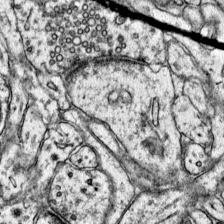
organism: Mouse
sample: Primary visual cortex